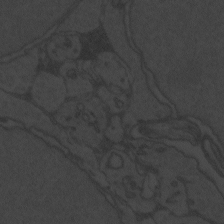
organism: Zebrafish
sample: Macrophage infected with Toxoplasma gondii